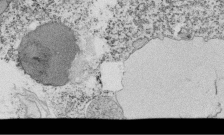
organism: Tetrahymena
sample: Cilia in tetrahymena